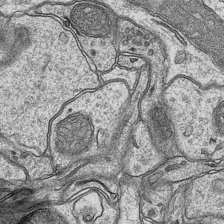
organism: Mouse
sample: CA1 Hippocampus